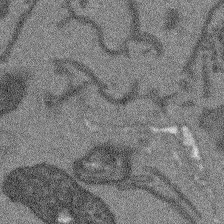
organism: Arabidopsis thaliana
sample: Root tip